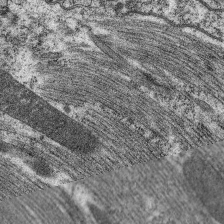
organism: C. elegans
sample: Pharynx